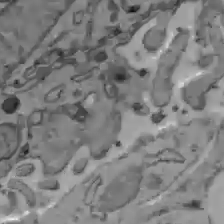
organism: C57BL Mouse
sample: Liver